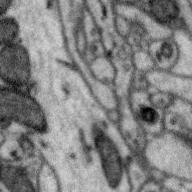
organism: Zebra finch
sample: Brain